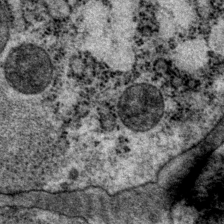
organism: P. pacificus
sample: Pharynx